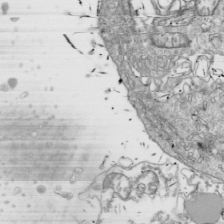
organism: Drosophila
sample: Cell division; meiosis; drosophila spermatocytes